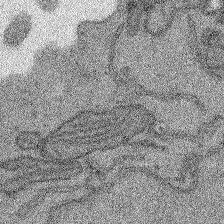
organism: Human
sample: HeLa cells